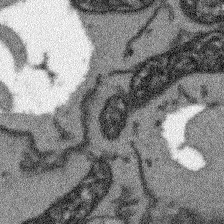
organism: Arabidopsis thaliana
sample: Root tip